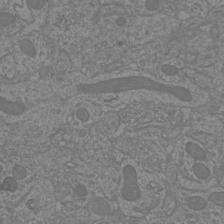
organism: Mouse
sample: Cortical neurons